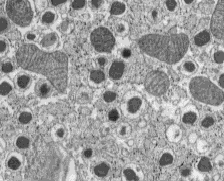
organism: C57BL Mouse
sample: Pancreatic islet